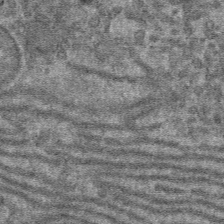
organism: Mouse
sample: Mouse hepatocytes